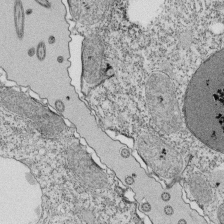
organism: Tetrahymena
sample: Cilia in tetrahymena